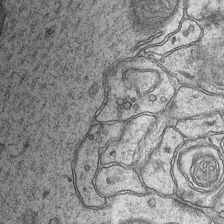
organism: Mouse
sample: CA1 Hippocampus